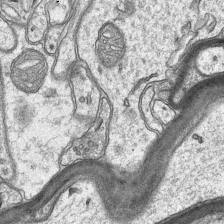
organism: Mouse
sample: CA1 Hippocampus